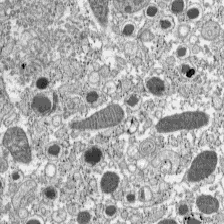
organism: C57BL Mouse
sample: Pancreatic islet